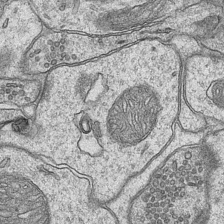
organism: Mouse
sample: CA1 Hippocampus